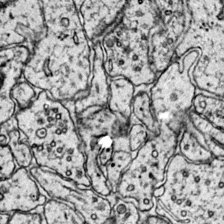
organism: Mouse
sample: Primary visual cortex